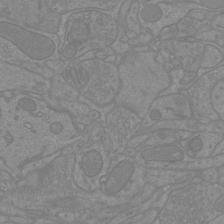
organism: Mouse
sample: Cortical neurons